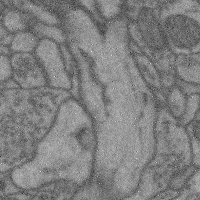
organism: Mouse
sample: Cerebral cortex